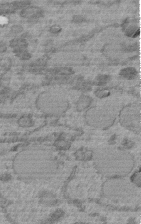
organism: C. elegans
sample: C. elegans embryo early stage